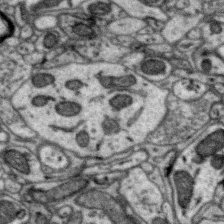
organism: Zebra finch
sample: Brain